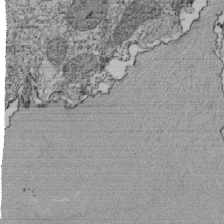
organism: Tetrahymena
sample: Cilia in tetrahymena